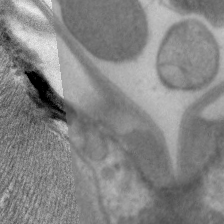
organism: C. elegans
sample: Pharynx